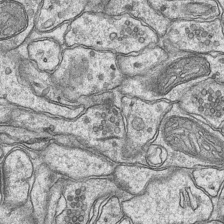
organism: Mouse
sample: CA1 Hippocampus